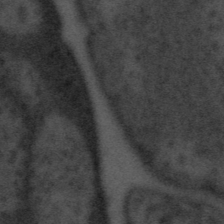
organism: Tuwongella immobilis